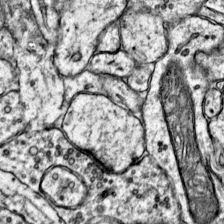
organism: Mouse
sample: Primary visual cortex